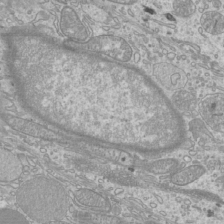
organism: Mouse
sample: Cilia; mouse epididymis